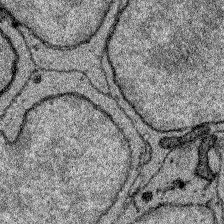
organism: Zebrafish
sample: Larval olfactory bulb